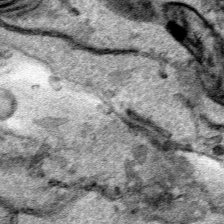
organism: Human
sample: Mitochondria in HCT116 cells